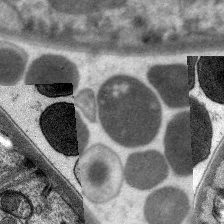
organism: C. elegans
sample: Pharynx